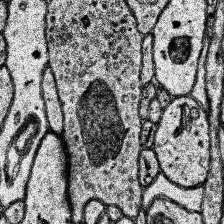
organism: Human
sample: Temporal Lobe